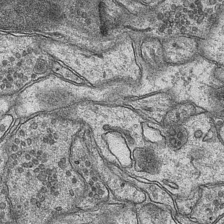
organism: Mouse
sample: CA1 Hippocampus